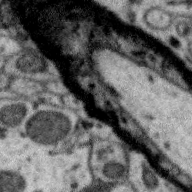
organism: Zebra finch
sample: Brain